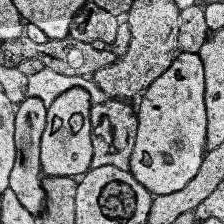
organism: Human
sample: Temporal Lobe